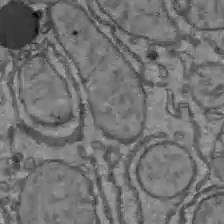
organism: C57BL Mouse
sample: Liver